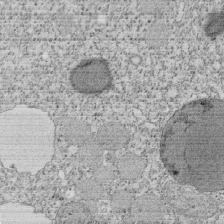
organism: Tetrahymena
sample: Cilia in tetrahymena